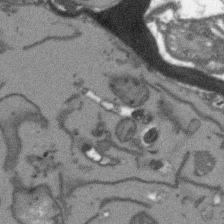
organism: Arabidopsis thaliana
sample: Root tip